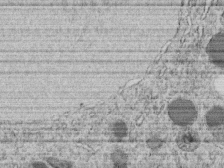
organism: C. elegans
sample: C. elegans embryo early stage